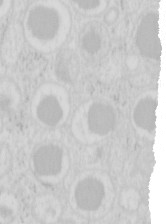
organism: Mouse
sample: Pancreas